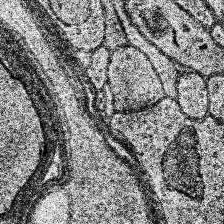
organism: Human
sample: Temporal Lobe